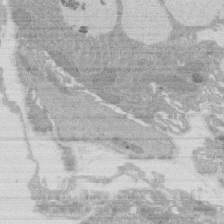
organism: Rat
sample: Salivary granule